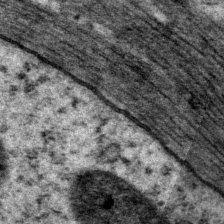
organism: P. pacificus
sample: Pharynx